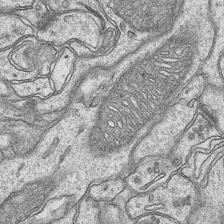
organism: Mouse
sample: CA1 Hippocampus